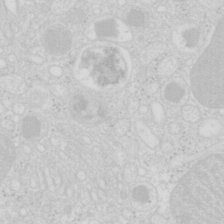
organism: Mouse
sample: Pancreas